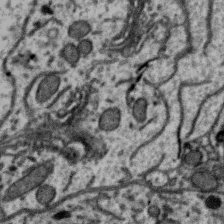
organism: Zebra finch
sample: Brain